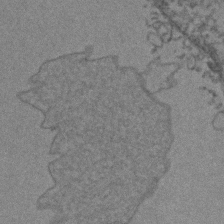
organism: Zebrafish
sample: Zebrafish embryo